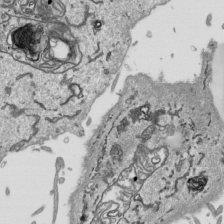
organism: Human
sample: Mitochondria in HCT116 cells